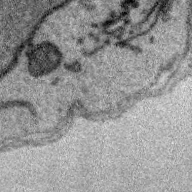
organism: Zebra finch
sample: Brain